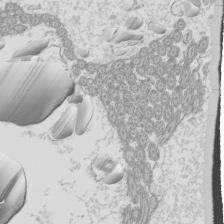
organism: Mouse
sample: Cilia; mouse epididymis